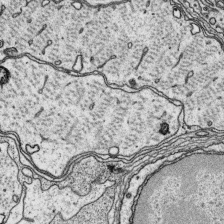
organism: Platynereis dumerilii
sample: Parapodia